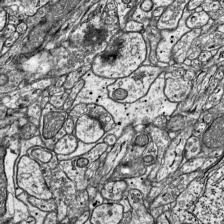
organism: Mouse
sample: Visual Cortex